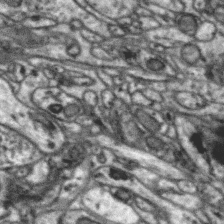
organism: Zebra finch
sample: Brain